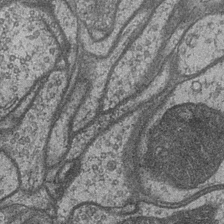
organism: Drosophila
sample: Optic medulla